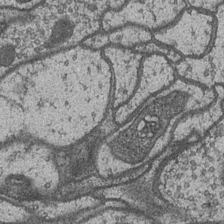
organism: Drosophila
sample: Optic medulla